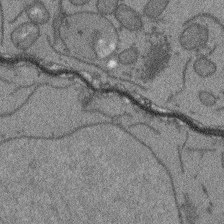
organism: Arabidopsis thaliana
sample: Root tip